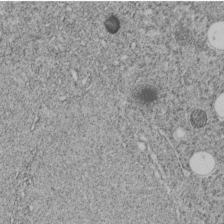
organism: C. elegans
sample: C. elegans embryo early stage